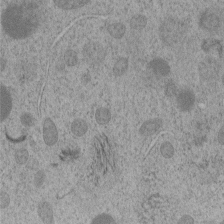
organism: C. elegans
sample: C. elegans embryo early stage